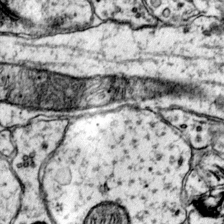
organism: Mouse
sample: Primary visual cortex